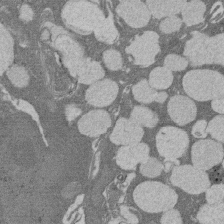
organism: Rat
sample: Salivary granule